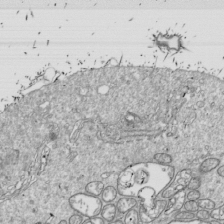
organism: Drosophila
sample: Cell division; meiosis; drosophila spermatocytes